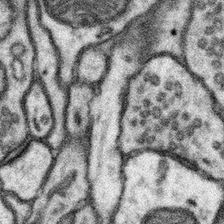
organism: Mouse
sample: Somatosensory cortex neuropil